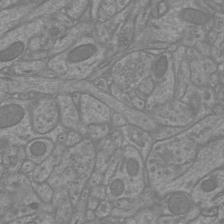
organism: Mouse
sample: Cortical neurons